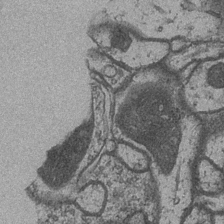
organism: Drosophila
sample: Optic medulla